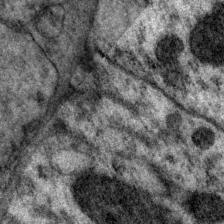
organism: P. pacificus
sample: Pharynx